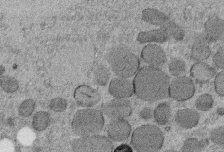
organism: C. elegans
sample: C. elegans embryo early stage